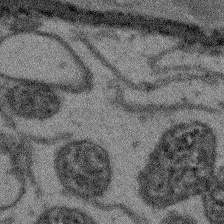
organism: Arabidopsis thaliana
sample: Root tip